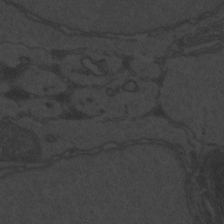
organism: Zebrafish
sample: Macrophage infected with Toxoplasma gondii